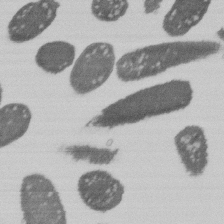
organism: E. coli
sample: Bacterial nucleoid